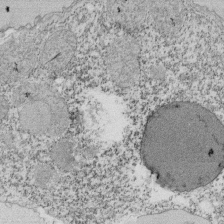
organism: Tetrahymena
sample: Cilia in tetrahymena